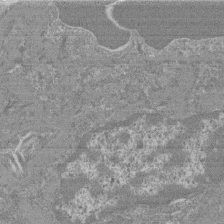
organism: Mouse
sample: Glomerulus